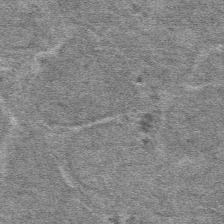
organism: Mouse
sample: Mouse hepatocytes